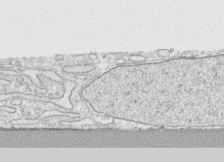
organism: Human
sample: CRL-1474